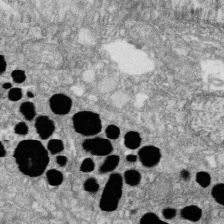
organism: Zebrafish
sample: Cilia; retinal pigment epithelium